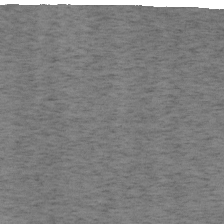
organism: Mouse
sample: OT-I killer T cells with ID8 ovarian cancer cells